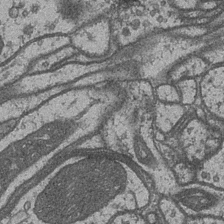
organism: Drosophila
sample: Optic medulla